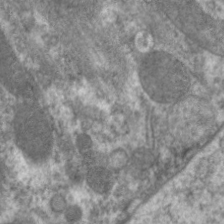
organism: C. elegans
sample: Pharynx